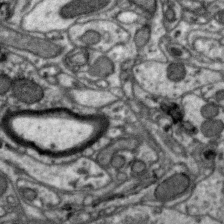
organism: Zebra finch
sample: Brain